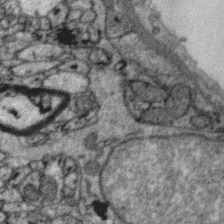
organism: Zebra finch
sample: Brain